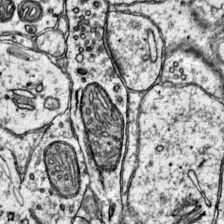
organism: Mouse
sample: Primary visual cortex